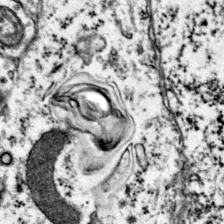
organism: Mouse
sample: Primary visual cortex